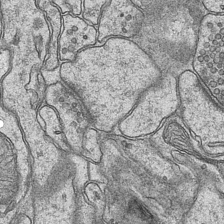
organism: Mouse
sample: CA1 Hippocampus